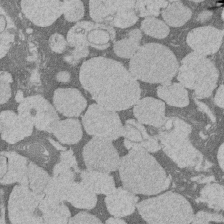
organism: Rat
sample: Salivary granule